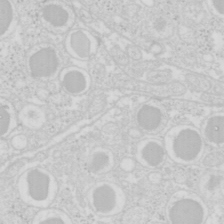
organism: Mouse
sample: Pancreas